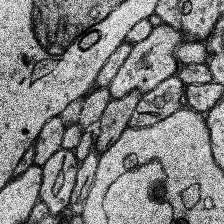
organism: Human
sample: Temporal Lobe